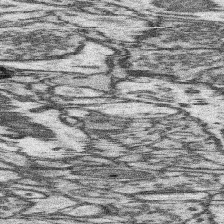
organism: Mouse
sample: Somatosensory cortex neuropil